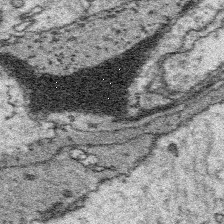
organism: Platynereis dumerilii